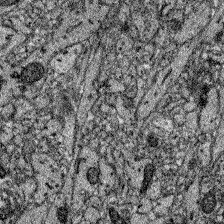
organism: Zebrafish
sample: Larval olfactory bulb